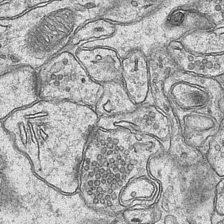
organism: Mouse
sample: CA1 Hippocampus